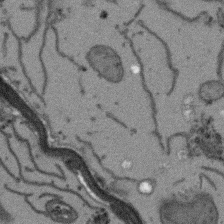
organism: Arabidopsis thaliana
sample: Root tip